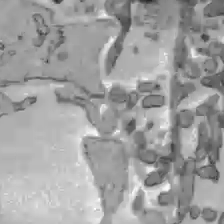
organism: C57BL Mouse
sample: Liver